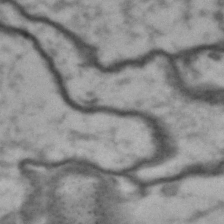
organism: Drosophila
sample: Brain